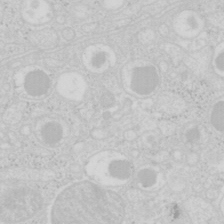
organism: Mouse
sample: Pancreas